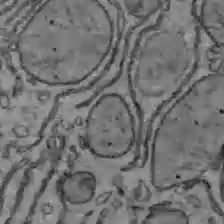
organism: C57BL Mouse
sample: Liver